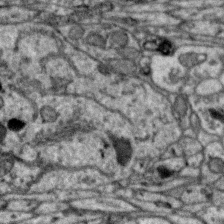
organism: Zebra finch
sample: Brain